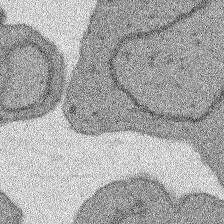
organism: Human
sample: HeLa cells